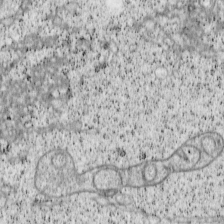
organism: African green monkey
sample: COS-7 cells